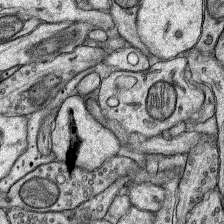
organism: Rat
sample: Hippocampus